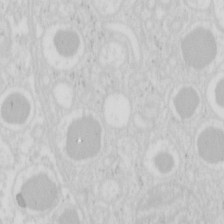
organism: Mouse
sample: Pancreas